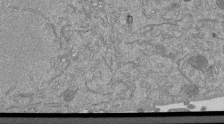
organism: Mouse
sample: ED-1 cell nuclei; centrioles